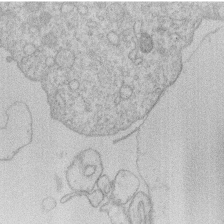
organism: Human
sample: Macrophage cells